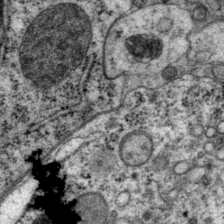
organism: P. pacificus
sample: Pharynx